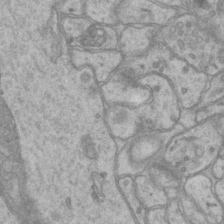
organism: Mouse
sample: CA1 Hippocampus